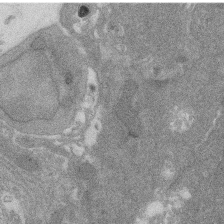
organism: Rat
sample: Salivary granule